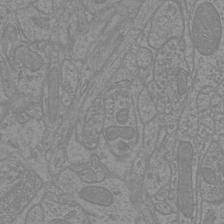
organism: Mouse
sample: Cortical neurons